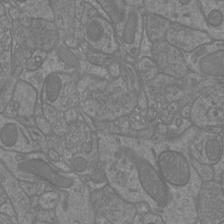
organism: Mouse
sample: Cortical neurons